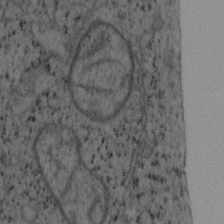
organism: Human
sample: HeLa cells